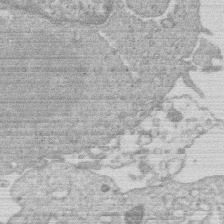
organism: Human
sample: Macrophage cells